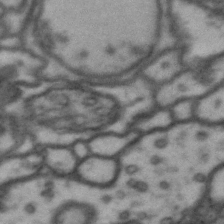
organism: Drosophila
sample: Brain